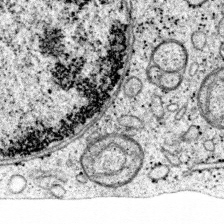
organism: Human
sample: HeLa cells